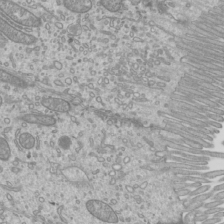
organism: Mouse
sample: Cilia; mouse epididymis